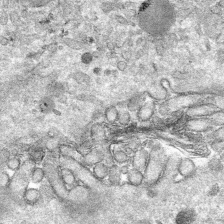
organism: Mouse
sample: Mouse hepatocytes